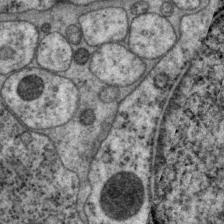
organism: P. pacificus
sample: Pharynx